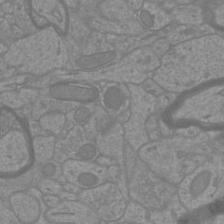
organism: Mouse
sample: Cortical neurons